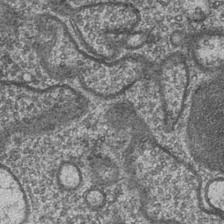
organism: Drosophila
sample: Optic medulla